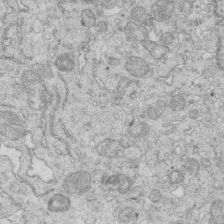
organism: Mouse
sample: Multiciliated cells